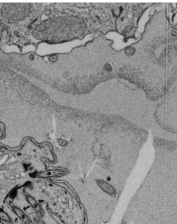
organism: Tetrahymena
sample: Cilia in tetrahymena